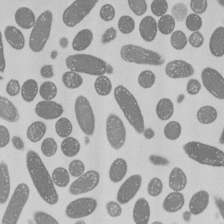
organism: E. coli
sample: Bacterial nucleoid